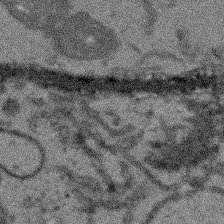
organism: Arabidopsis thaliana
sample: Root tip